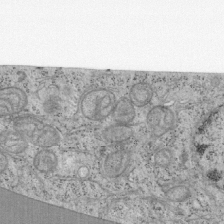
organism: Human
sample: HeLa cells